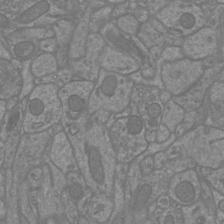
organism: Mouse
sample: Cortical neurons